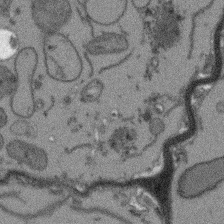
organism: Arabidopsis thaliana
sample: Root tip